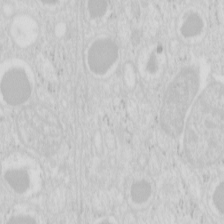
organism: Mouse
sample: Pancreas